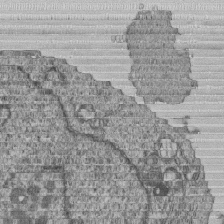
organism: Human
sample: MDA-MB-231 cells